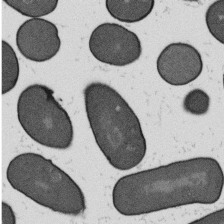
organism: B. subtilis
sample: Bacterial spore